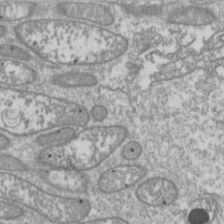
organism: Drosophila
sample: Cell division; meiosis; drosophila spermatocytes